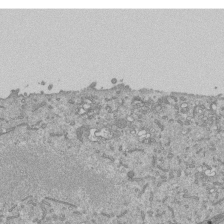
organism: Mouse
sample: ED-1 cell nuclei; centrioles